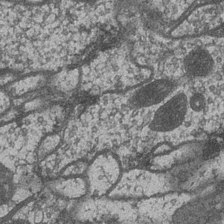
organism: Drosophila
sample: Optic medulla